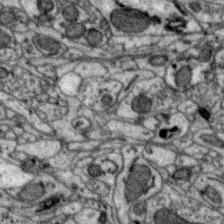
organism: Zebra finch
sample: Brain